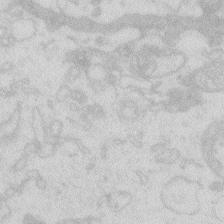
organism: Zebrafish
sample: Macrophage